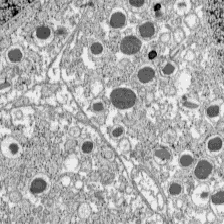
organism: C57BL Mouse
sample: Pancreatic islet